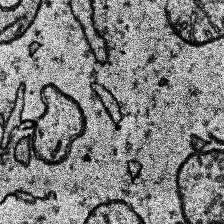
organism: Human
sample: Temporal Lobe